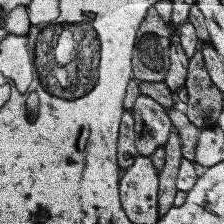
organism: Human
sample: Temporal Lobe